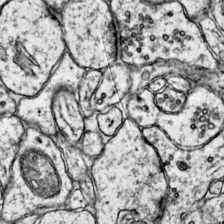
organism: Mouse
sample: Primary visual cortex